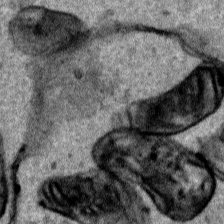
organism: Human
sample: Mitochondria in HCT116 cells